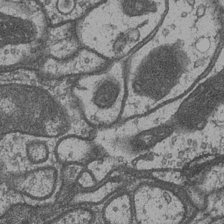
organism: Drosophila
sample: Optic medulla